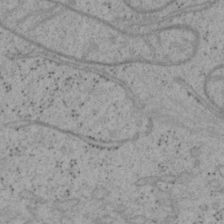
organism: Human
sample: HeLa cells